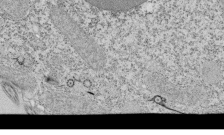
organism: Tetrahymena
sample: Cilia in tetrahymena